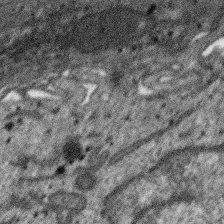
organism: Human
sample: Lung epithelial cells infected with SARS-CoV-2